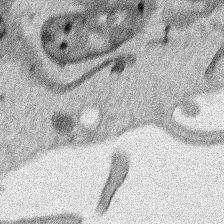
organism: Human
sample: Mitochondria in HCT116 cells